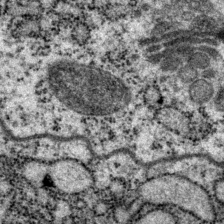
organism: P. pacificus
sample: Pharynx